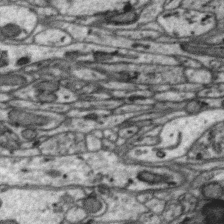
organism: Zebra finch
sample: Brain